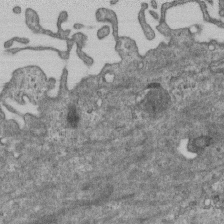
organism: Mouse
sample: Centriole in ependymal cells